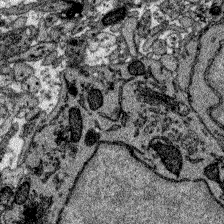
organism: Zebrafish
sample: Larval olfactory bulb